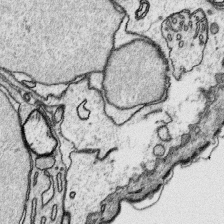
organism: Platynereis dumerilii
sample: Parapodia